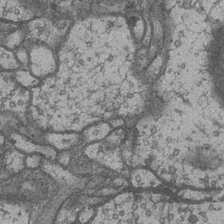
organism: Drosophila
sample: Optic medulla